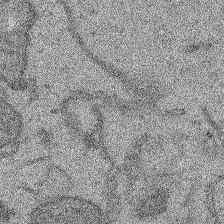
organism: Human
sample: HeLa cells